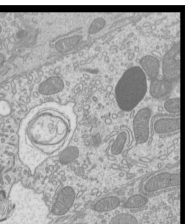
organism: Mouse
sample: Cilia; mouse epididymis